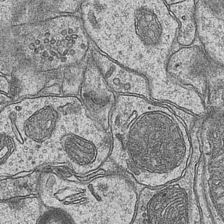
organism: Mouse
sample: CA1 Hippocampus